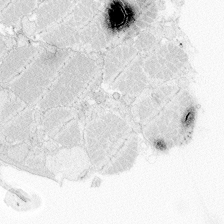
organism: Zebrafish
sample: Whole-Brain